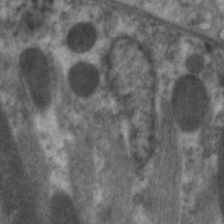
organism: C. elegans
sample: Pharynx